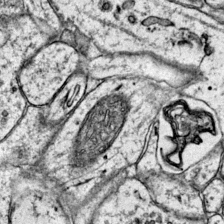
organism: Mouse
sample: Primary visual cortex